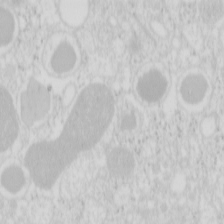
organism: Mouse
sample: Pancreas